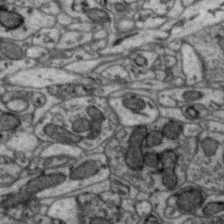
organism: Zebra finch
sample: Brain